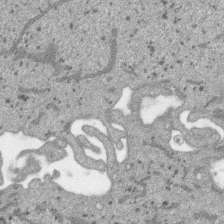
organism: Human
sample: Lung epithelial cells infected with SARS-CoV-2